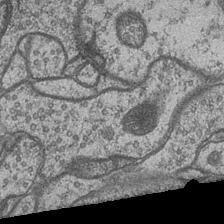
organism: Drosophila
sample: Optic medulla